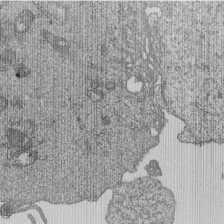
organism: Human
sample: MDA-MB-231 cells